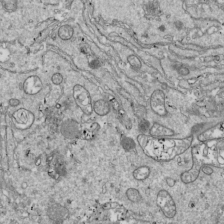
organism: Drosophila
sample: Cell division; meiosis; drosophila spermatocytes